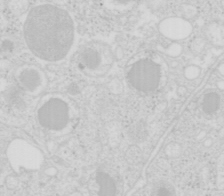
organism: Mouse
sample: Pancreas